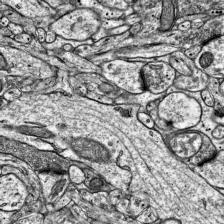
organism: Mouse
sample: Visual Cortex